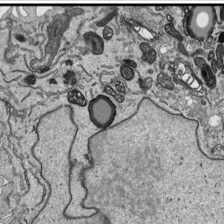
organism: Human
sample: Mitochondria in HCT116 cells